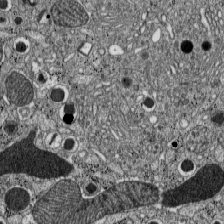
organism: C57BL Mouse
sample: Pancreatic islet